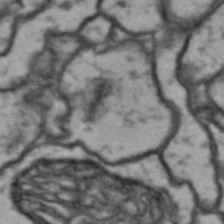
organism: Drosophila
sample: Brain